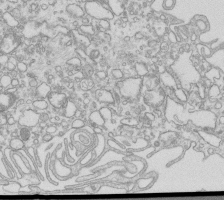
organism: Mouse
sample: Macrophages